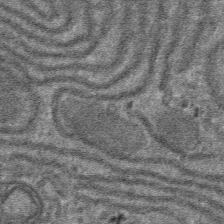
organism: Mouse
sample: Mouse hepatocytes